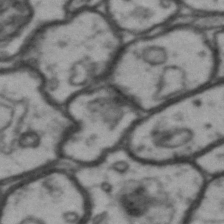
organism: Drosophila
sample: Brain